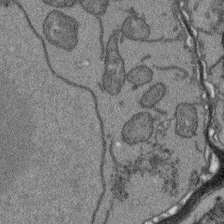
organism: Arabidopsis thaliana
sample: Root tip